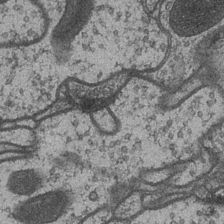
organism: Drosophila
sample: Optic medulla